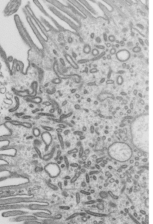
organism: Mouse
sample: Mouse epididymis efferent ductule cilia